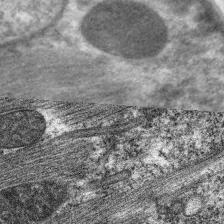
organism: C. elegans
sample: Pharynx